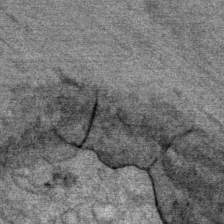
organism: Mouse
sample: Mouse Salivary gland